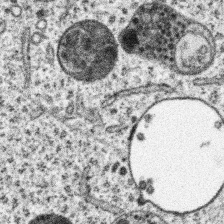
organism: Human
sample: HeLa cells